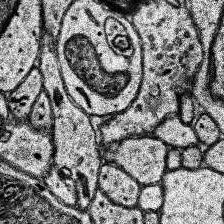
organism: Human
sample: Temporal Lobe